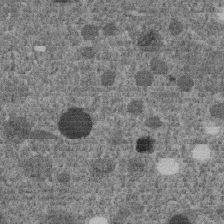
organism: C. elegans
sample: C. elegans embryo early stage